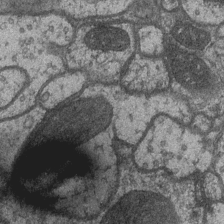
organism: Drosophila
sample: Optic medulla